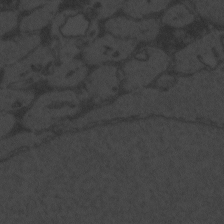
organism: Zebrafish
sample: Macrophage infected with Toxoplasma gondii